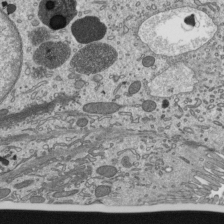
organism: Mouse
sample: Mouse epididymis efferent ductule cilia